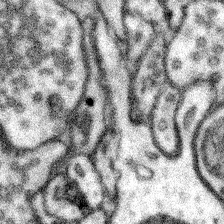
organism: Mouse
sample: Somatosensory cortex neuropil